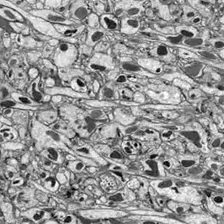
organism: Drosophila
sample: Optic lobe